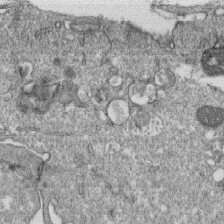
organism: African green monkey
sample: Vero E6 cells infected with SARS-CoV-2